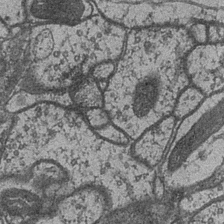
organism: Drosophila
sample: Optic medulla